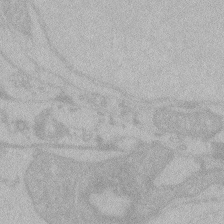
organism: Zebrafish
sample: Macrophage infected with Toxoplasma gondii